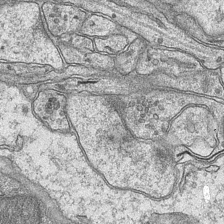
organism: Mouse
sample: CA1 Hippocampus